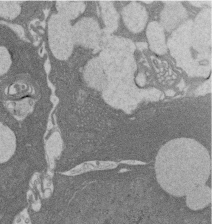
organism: Rat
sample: Salivary granule